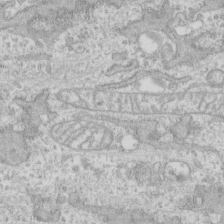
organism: Human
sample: CRL-1474